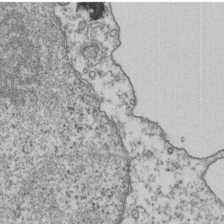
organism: Human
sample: Activated Jurkat CD4+ T cells